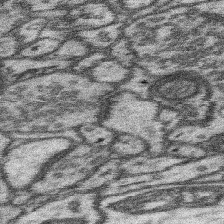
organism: Mouse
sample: Somatosensory cortex neuropil